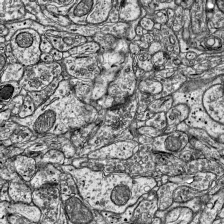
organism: Mouse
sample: Visual Cortex